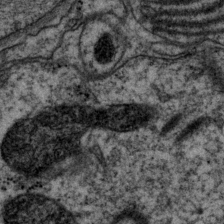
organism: P. pacificus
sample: Pharynx